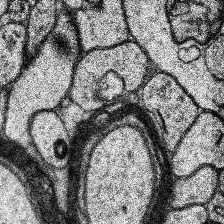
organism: Human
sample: Temporal Lobe